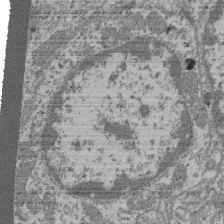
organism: Mouse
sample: Glomerulus